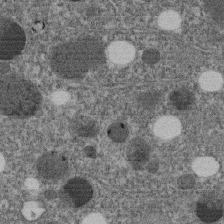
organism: C. elegans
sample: C. elegans embryo early stage